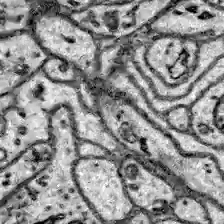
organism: Zebrafish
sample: Brain